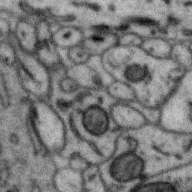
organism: Zebra finch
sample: Brain